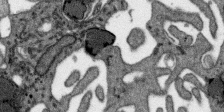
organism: Human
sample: Lung epithelial cells, uninfected (mock) control